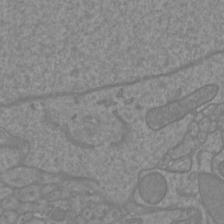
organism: Mouse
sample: Cortical neurons